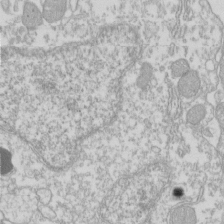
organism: Xenopus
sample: Cilia; centrioles in frog embryo cells